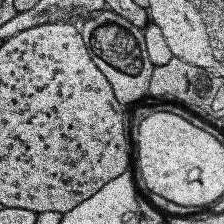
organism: Human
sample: Temporal Lobe